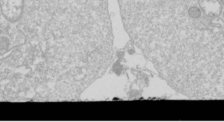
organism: Drosophila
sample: Cell division; meiosis; drosophila spermatocytes